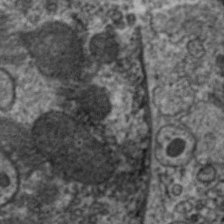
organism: C. elegans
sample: Pharynx